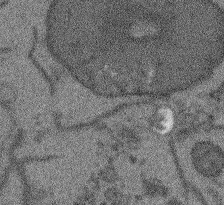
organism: Arabidopsis thaliana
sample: Root tip